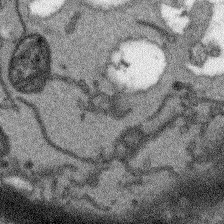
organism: Arabidopsis thaliana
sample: Root tip